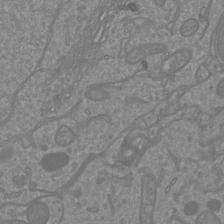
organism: Mouse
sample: Cortical neurons